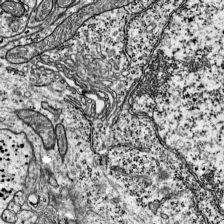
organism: Mouse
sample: Visual Cortex